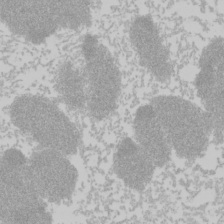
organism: Mouse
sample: Cancer cell death in ED-1 cells